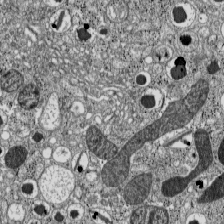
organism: C57BL Mouse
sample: Pancreatic islet